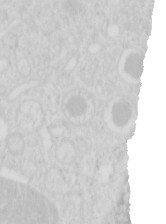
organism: Mouse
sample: Pancreas